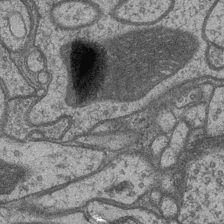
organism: Drosophila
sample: Optic medulla